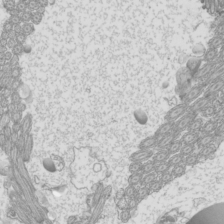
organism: Mouse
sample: Cilia; mouse epididymis